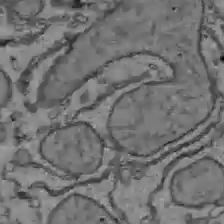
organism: C57BL Mouse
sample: Liver